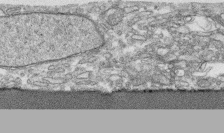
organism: Human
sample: CRL-1474